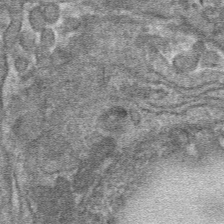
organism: Mouse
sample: Mouse hepatocytes